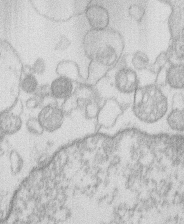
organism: Human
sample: Macrophage cells